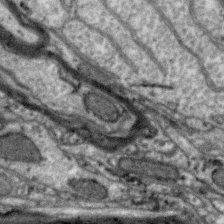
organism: Zebra finch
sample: Brain